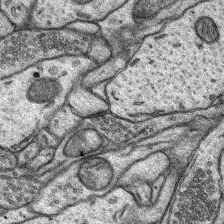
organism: Rat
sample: Hippocampus